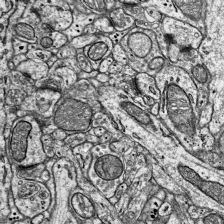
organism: Mouse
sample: Visual Cortex